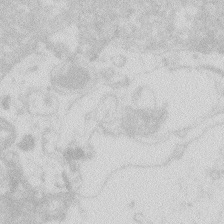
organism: Zebrafish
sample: Macrophage